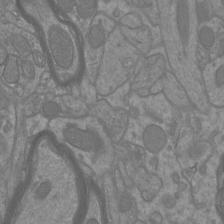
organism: Mouse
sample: Cortical neurons